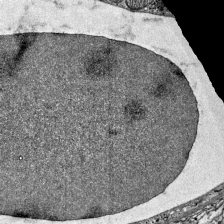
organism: Mouse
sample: Visual Cortex